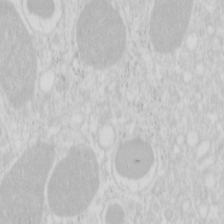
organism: Mouse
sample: Pancreas